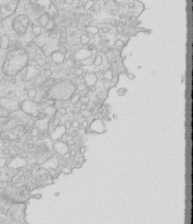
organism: Mouse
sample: Multiciliated cells